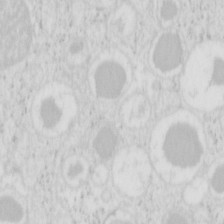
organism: Mouse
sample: Pancreas